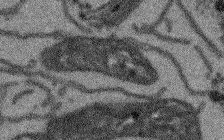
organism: Arabidopsis thaliana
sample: Root tip